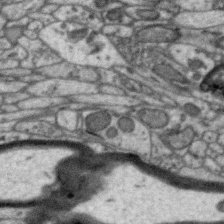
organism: Zebra finch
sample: Brain